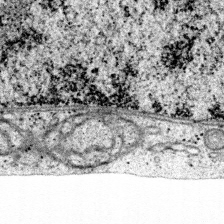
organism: Human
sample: HeLa cells